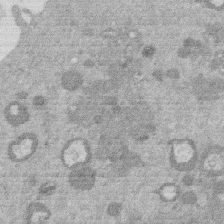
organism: Mouse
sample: Dividing mouse embryo 1 cell stage